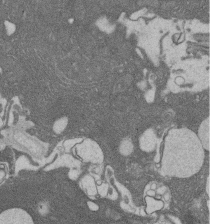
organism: Rat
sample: Salivary granule